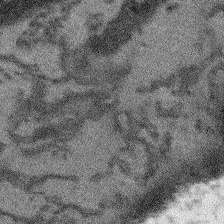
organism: Arabidopsis thaliana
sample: Root tip